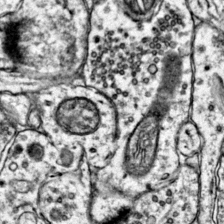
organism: Mouse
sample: Primary visual cortex